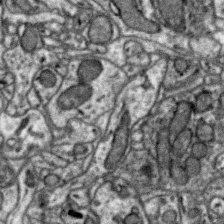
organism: Zebra finch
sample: Brain